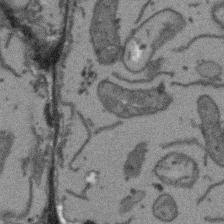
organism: Arabidopsis thaliana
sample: Root tip